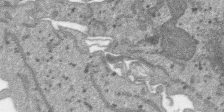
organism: Human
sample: Lung epithelial cells infected with SARS-CoV-2